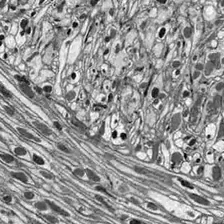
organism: Drosophila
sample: Optic lobe